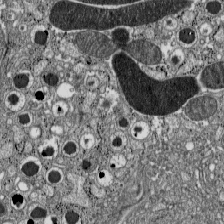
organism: C57BL Mouse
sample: Pancreatic islet